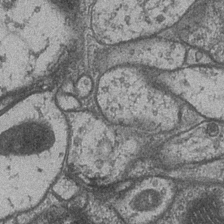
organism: Drosophila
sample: Optic medulla